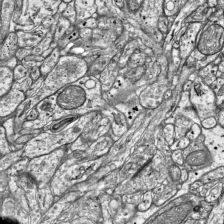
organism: Mouse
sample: Visual Cortex